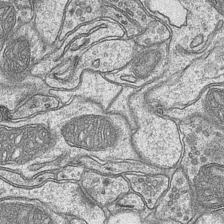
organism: Mouse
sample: CA1 Hippocampus